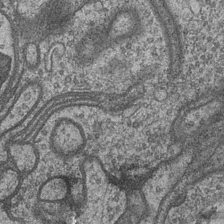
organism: Drosophila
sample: Optic medulla